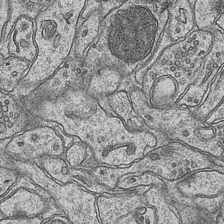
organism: Mouse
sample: CA1 Hippocampus